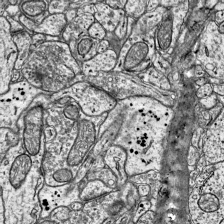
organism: Mouse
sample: Visual Cortex